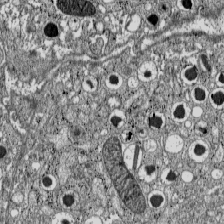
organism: C57BL Mouse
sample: Pancreatic islet